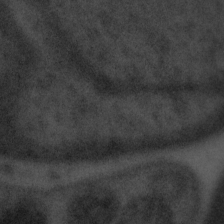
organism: Tuwongella immobilis